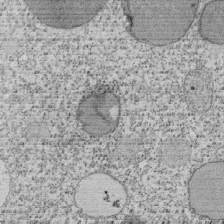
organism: Tetrahymena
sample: Cilia in tetrahymena